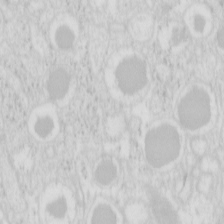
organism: Mouse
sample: Pancreas